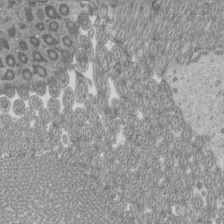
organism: Mouse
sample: Cilia; mouse epididymis